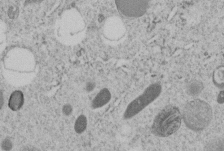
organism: C. elegans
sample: C. elegans embryo early stage